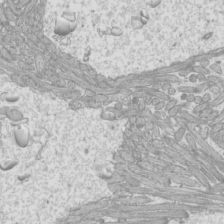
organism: Mouse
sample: Cilia; mouse epididymis